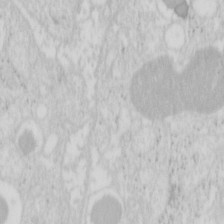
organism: Mouse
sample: Pancreas